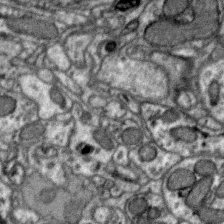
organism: Zebra finch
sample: Brain